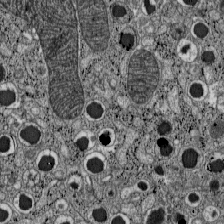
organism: C57BL Mouse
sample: Pancreatic islet